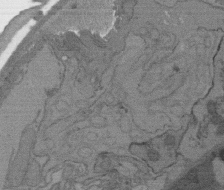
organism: C. elegans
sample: AFD neurons C. elegans